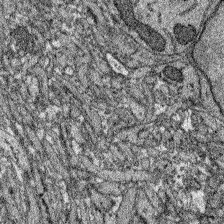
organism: Zebrafish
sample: Larval olfactory bulb